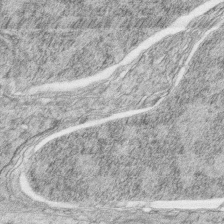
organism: Zebrafish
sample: synaptic ribbons in rod cells and cone cells